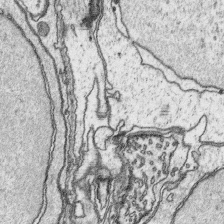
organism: Platynereis dumerilii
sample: Parapodia